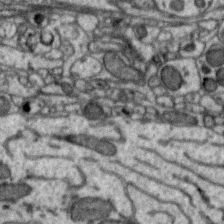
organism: Zebra finch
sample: Brain